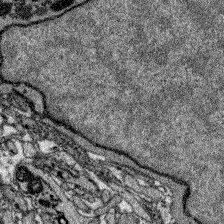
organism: Zebrafish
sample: Larval olfactory bulb